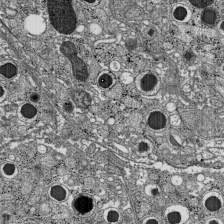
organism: C57BL Mouse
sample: Pancreatic islet